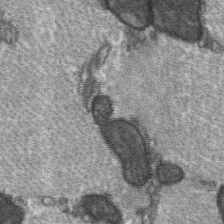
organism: C57BL Mouse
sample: Soleus